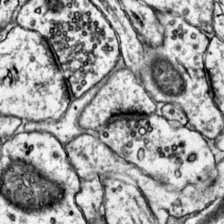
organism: Mouse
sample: Primary visual cortex